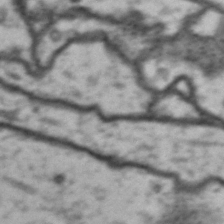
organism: Drosophila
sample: Brain